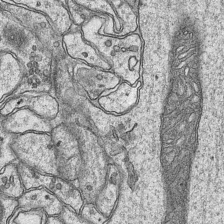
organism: Mouse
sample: CA1 Hippocampus